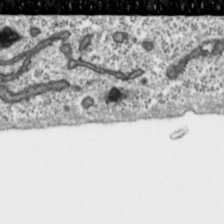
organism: Toxoplasma gondii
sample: Parasites in a vacuole inside a host cell